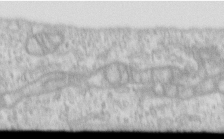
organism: Human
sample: Centriole in RPE cells